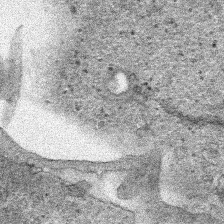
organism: Human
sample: Mitochondria in HCT116 cells